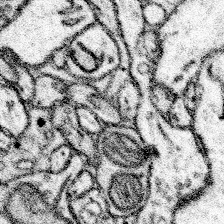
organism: Mouse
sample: Somatosensory cortex neuropil